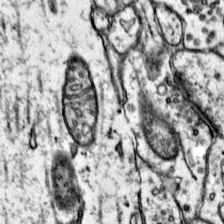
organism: Mouse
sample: Primary visual cortex